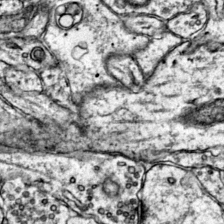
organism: Mouse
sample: Primary visual cortex